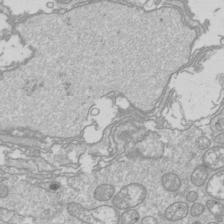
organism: Drosophila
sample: Cell division; meiosis; drosophila spermatocytes